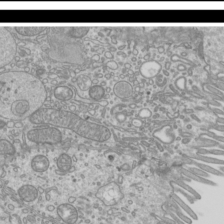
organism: Mouse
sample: Cilia; mouse epididymis